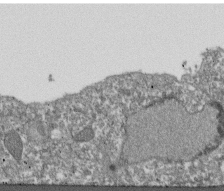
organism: Dictyostelium discoideum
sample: Dictyostelium multivesicular bodies